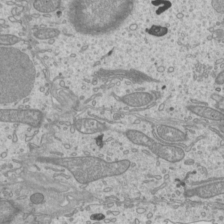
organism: Mouse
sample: Cilia; mouse epididymis